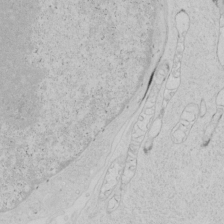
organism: Human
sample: Mitochondria in HCT116 cells